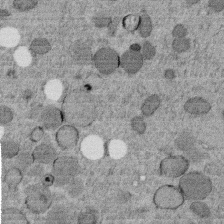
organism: C. elegans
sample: C. elegans embryo early stage